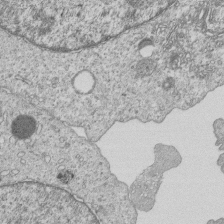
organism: Human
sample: MDA-MB-231 cells